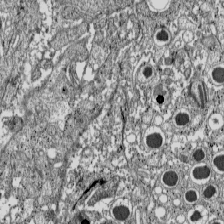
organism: C57BL Mouse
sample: Pancreatic islet